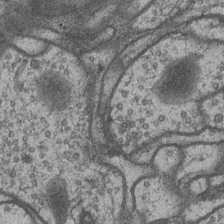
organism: Drosophila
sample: Optic medulla